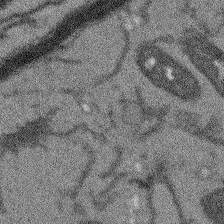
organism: Arabidopsis thaliana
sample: Root tip